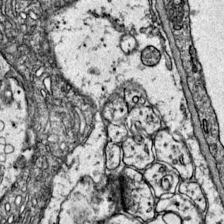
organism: Mouse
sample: Primary visual cortex